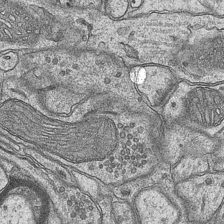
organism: Mouse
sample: CA1 Hippocampus